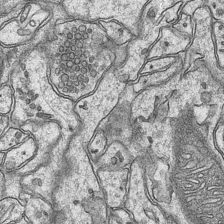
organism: Mouse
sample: CA1 Hippocampus